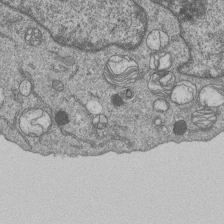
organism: Human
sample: MDA-MB-231 cells